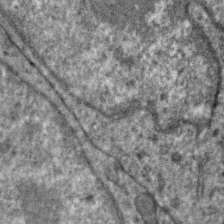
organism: Zebra finch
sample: Brain